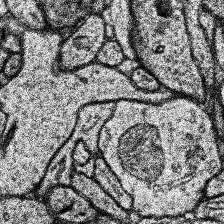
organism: Human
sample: Temporal Lobe